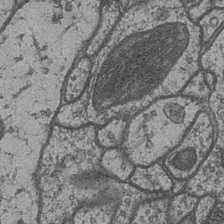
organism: Drosophila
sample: Optic medulla